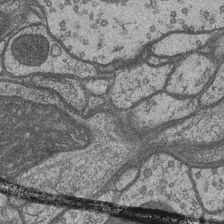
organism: Drosophila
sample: Optic medulla